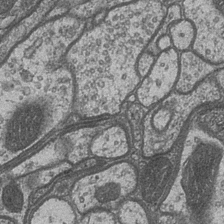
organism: Drosophila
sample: Optic medulla